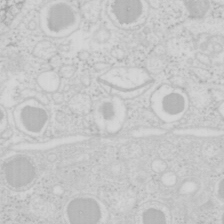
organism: Mouse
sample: Pancreas